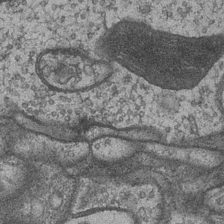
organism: Drosophila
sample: Optic medulla